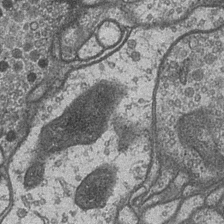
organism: Drosophila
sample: Optic medulla